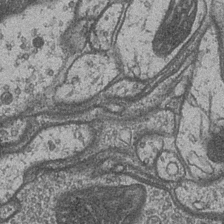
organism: Drosophila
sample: Optic medulla